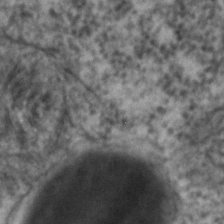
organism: C. elegans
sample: C. elegans embryo